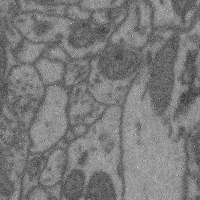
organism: Mouse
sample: Cerebral cortex